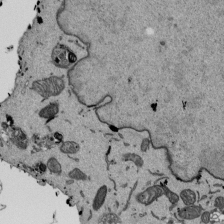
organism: Mouse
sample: ED-1 cell nuclei; centrioles